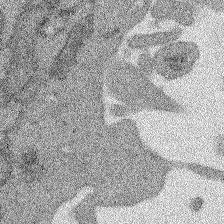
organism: Human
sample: HeLa cells